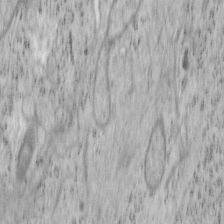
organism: Human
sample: HeLa cells